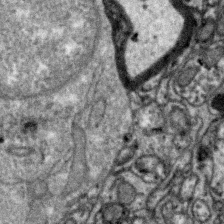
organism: Zebra finch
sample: Brain